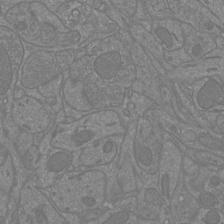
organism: Mouse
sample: Cortical neurons